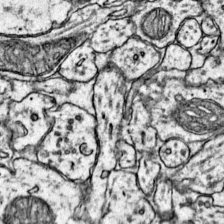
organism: Mouse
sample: Primary visual cortex